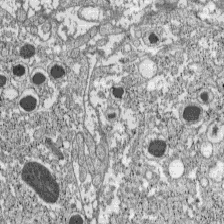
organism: C57BL Mouse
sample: Pancreatic islet